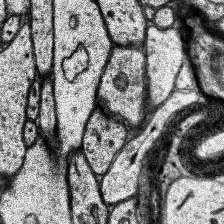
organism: Human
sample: Temporal Lobe